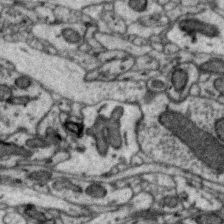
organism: Zebra finch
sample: Brain